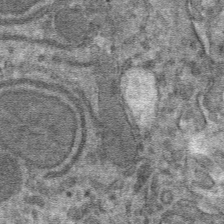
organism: Mouse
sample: Mouse hepatocytes